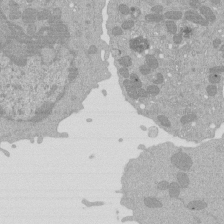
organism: Mouse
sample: Activated Pmel transgenic CD8+ T Cells